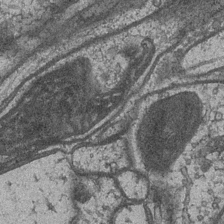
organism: Drosophila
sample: Optic medulla